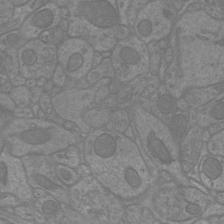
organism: Mouse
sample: Cortical neurons